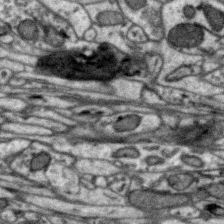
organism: Zebra finch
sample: Brain